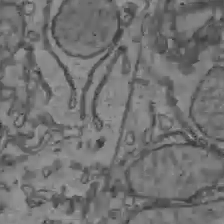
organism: C57BL Mouse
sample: Liver